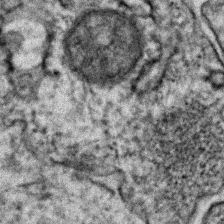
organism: Human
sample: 1205lu cells